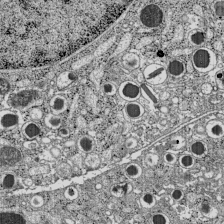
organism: C57BL Mouse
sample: Pancreatic islet